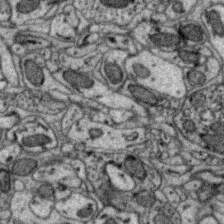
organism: Zebra finch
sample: Brain